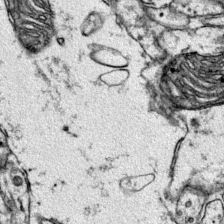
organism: Mouse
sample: Primary visual cortex